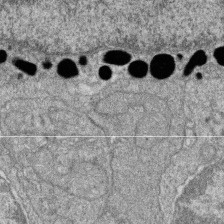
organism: Zebrafish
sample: Cilia; retinal pigment epithelium